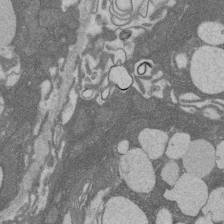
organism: Rat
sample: Salivary granule